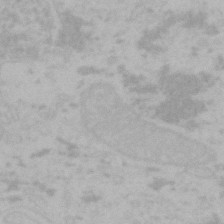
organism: Mouse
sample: Choroid plexus